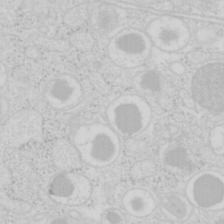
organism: Mouse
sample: Pancreas